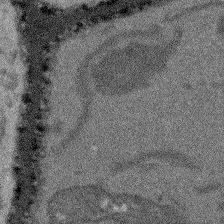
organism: Arabidopsis thaliana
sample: Root tip